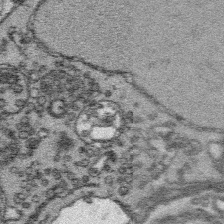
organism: Platynereis dumerilii